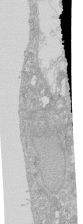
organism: Human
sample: Caco-2 cells